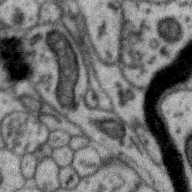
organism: Zebra finch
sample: Brain